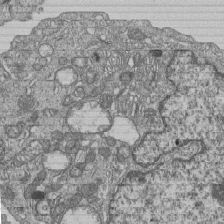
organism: Human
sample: MDA-MB-231 cells